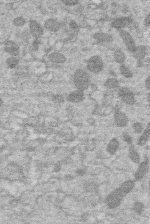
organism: Human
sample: Macrophage cells